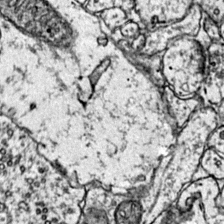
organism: Mouse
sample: Primary visual cortex